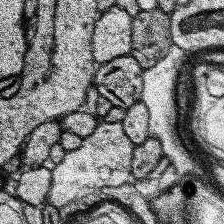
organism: Human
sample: Temporal Lobe